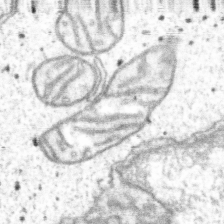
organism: Human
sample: HeLa cells